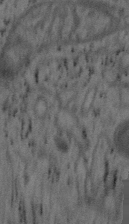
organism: Human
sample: HeLa cells